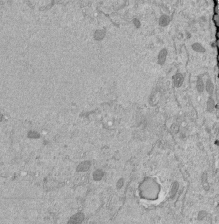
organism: Mouse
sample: ED-1 cell nuclei; centrioles